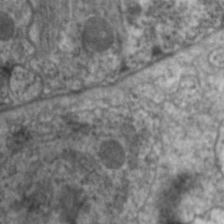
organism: C. elegans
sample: Pharynx